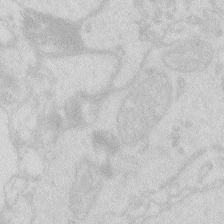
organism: Zebrafish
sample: Macrophage